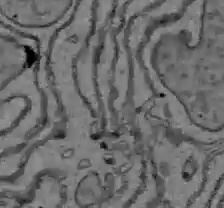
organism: C57BL Mouse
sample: Liver